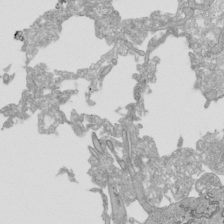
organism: Human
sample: Mitochondria in HCT116 cells